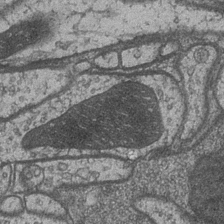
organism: Drosophila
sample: Optic medulla